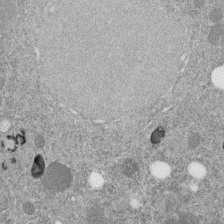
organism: C. elegans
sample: C. elegans embryo early stage